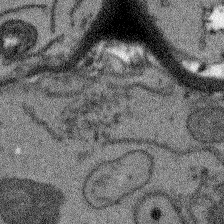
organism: Arabidopsis thaliana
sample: Root tip